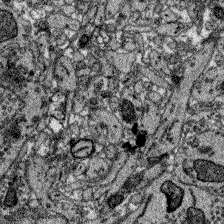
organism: Zebrafish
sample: Larval olfactory bulb